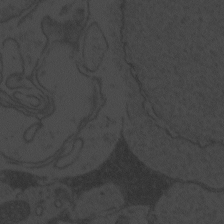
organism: Zebrafish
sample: Macrophage infected with Toxoplasma gondii